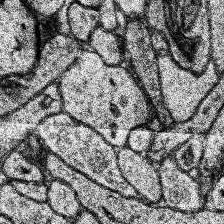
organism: Human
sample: Temporal Lobe